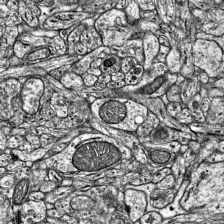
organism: Mouse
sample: Visual Cortex